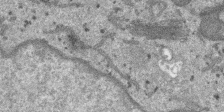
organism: Human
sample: Lung epithelial cells infected with SARS-CoV-2